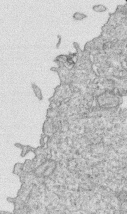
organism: Human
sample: HeLa cell HIV synapse